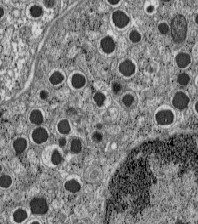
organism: C57BL Mouse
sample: Pancreatic islet